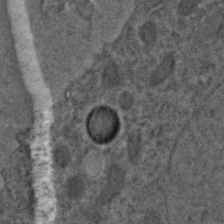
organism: C. elegans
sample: C. elegans embryo